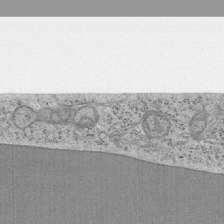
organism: Human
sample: HeLa cells